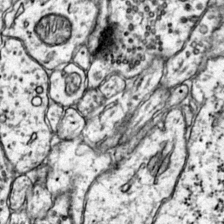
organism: Mouse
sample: Primary visual cortex